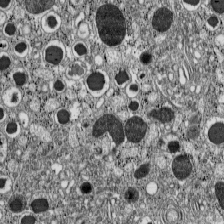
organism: C57BL Mouse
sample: Pancreatic islet